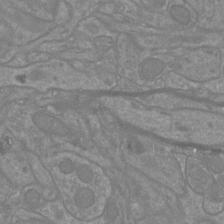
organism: Mouse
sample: Cortical neurons